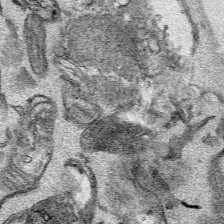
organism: Mouse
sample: Cancer cell death in ED-1 cells